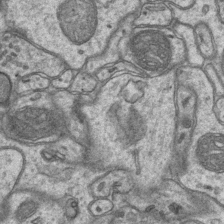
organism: Mouse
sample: CA1 Hippocampus